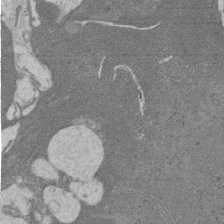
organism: Rat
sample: Salivary granule